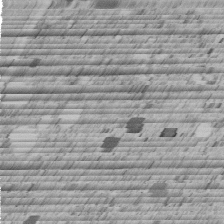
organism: C. elegans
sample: C. elegans embryo early stage